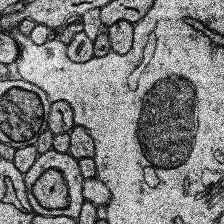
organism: Human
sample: Temporal Lobe